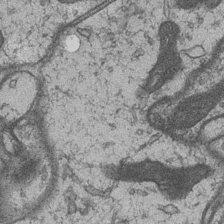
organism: Drosophila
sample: Optic medulla